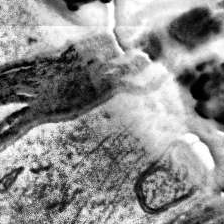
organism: Human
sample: Temporal Lobe